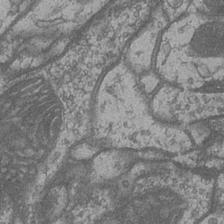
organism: Drosophila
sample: Optic medulla